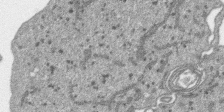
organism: Human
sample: Lung epithelial cells infected with SARS-CoV-2